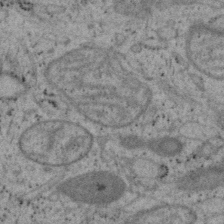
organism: Human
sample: HeLa cells